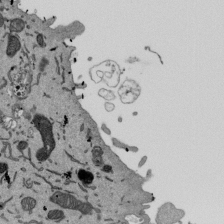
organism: Mouse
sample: ED-1 cell nuclei; centrioles